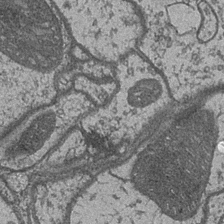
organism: Drosophila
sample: Optic medulla